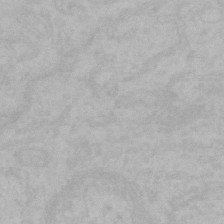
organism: Mouse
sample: Choroid plexus